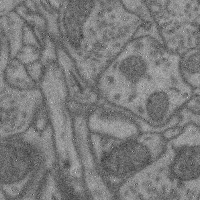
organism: Mouse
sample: Cerebral cortex